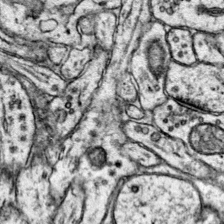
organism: Mouse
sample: Primary visual cortex